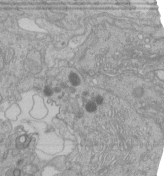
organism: Human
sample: Retinal organoid Rod and Cone cells